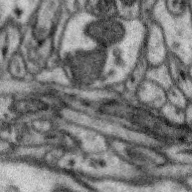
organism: Zebra finch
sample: Brain